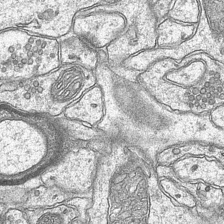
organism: Mouse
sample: CA1 Hippocampus